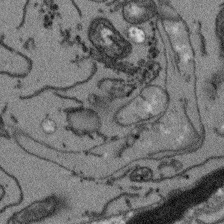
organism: Arabidopsis thaliana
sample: Root tip